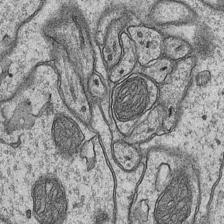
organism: Mouse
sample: CA1 Hippocampus